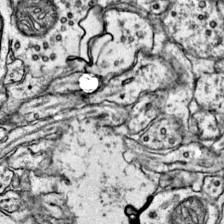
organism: Mouse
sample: Primary visual cortex